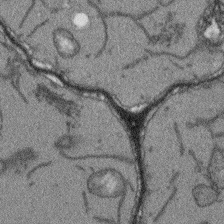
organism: Arabidopsis thaliana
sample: Root tip